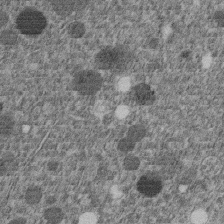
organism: C. elegans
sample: C. elegans embryo early stage